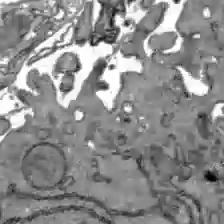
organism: C57BL Mouse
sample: Liver